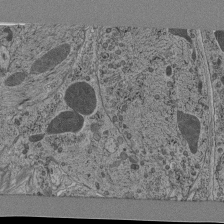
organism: C. elegans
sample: C. elegans pharynx